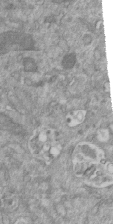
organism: Mouse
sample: ED-1 cell nuclei; centrioles